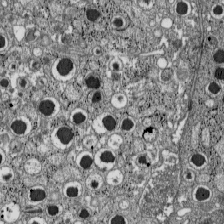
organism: C57BL Mouse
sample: Pancreatic islet